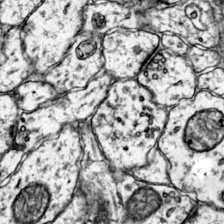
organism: Mouse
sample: Primary visual cortex